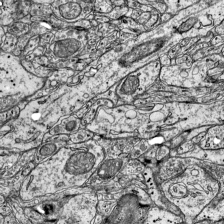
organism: Mouse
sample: Visual Cortex